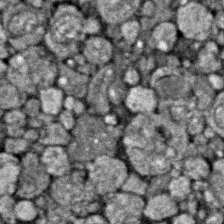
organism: Zebrafish